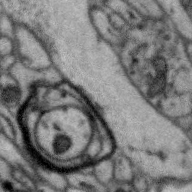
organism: Zebra finch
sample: Brain